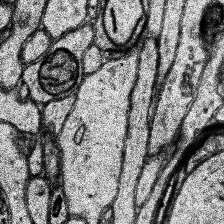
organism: Human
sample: Temporal Lobe